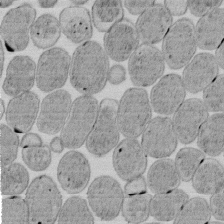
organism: E. coli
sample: Bacterial nucleoid